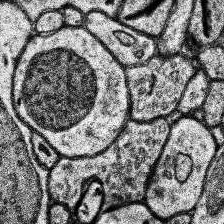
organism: Human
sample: Temporal Lobe